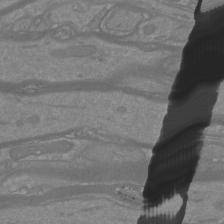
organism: Mouse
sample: Cortical neurons